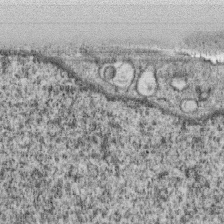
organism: African green monkey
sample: Vero E6 cells infected with SARS-CoV-2